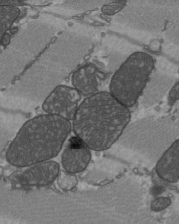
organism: C57BL Mouse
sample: Heart